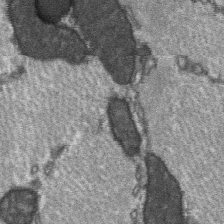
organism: C57BL Mouse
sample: Soleus